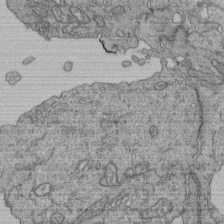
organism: Human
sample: Retinal organoid Rod and Cone cells